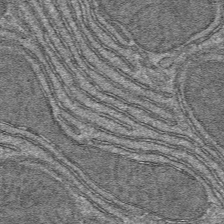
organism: Mouse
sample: Mouse hepatocytes